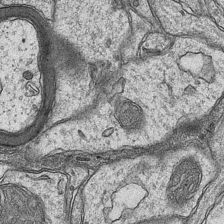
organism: Mouse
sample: CA1 Hippocampus